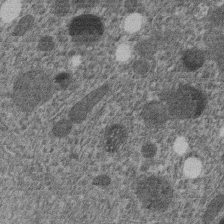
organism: C. elegans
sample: C. elegans embryo early stage